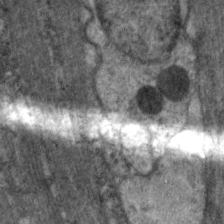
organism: C. elegans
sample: Pharynx